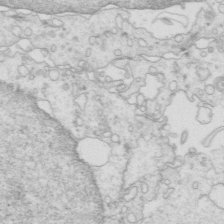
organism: Mouse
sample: Multiciliated cells